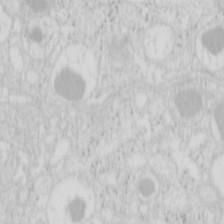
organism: Mouse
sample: Pancreas